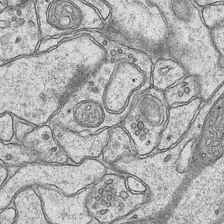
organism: Mouse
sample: CA1 Hippocampus